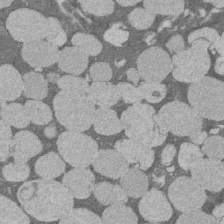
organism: Rat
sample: Salivary granule